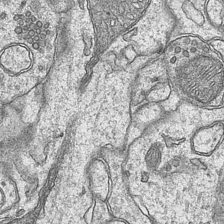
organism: Mouse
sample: CA1 Hippocampus